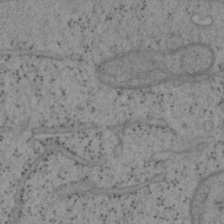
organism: Human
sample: HeLa cells